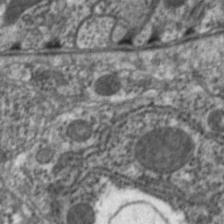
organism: C. elegans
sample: Pharynx